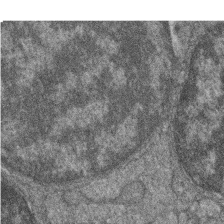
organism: Zebrafish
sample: Cilia; retinal pigment epithelium